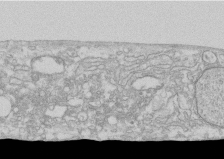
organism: Human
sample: CRL-1474